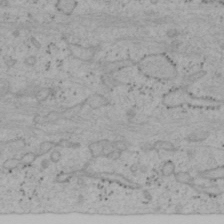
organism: Human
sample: HeLa cells